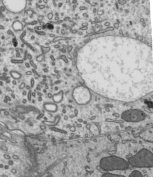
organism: Mouse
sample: Mouse epididymis efferent ductule cilia